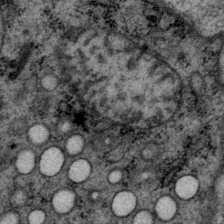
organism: P. pacificus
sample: Pharynx